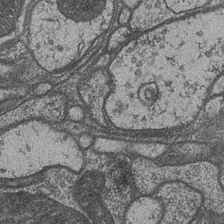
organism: Drosophila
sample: Optic medulla